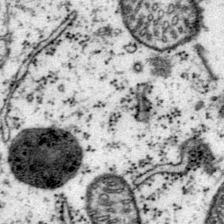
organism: Mouse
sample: Primary visual cortex